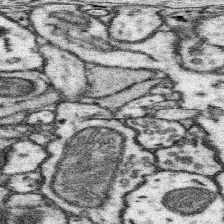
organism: Mouse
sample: Somatosensory cortex neuropil